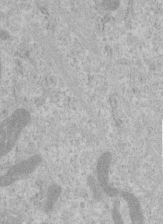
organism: Human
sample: Centriole in RPE cells